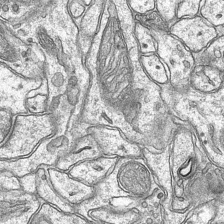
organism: Mouse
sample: CA1 Hippocampus